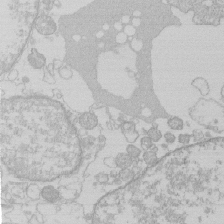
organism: Human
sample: Macrophage cells